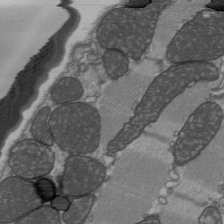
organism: C57BL Mouse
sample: Heart